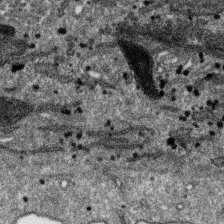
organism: Human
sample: Lung epithelial cells infected with SARS-CoV-2